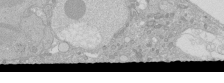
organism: Human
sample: Caco-2 cells